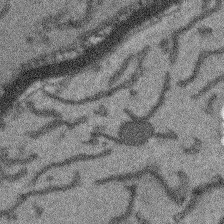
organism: Arabidopsis thaliana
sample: Root tip